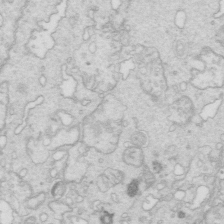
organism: Mouse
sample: Multiciliated cells